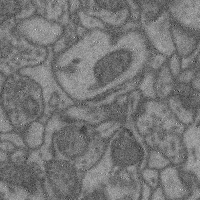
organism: Mouse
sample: Cerebral cortex